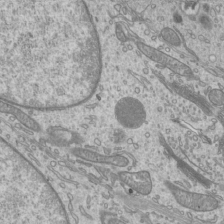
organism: Mouse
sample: Cilia; mouse epididymis